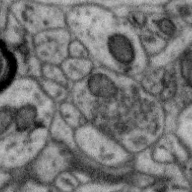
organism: Zebra finch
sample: Brain